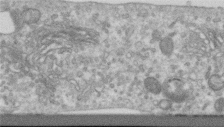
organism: Human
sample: Centriole in RPE cells